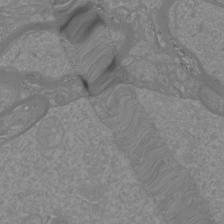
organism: Mouse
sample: Cortical neurons